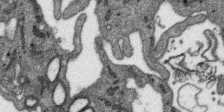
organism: Human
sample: Lung epithelial cells infected with SARS-CoV-2